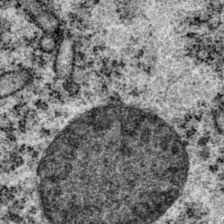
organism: P. pacificus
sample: Pharynx